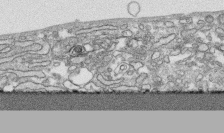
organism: Human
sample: CRL-1474